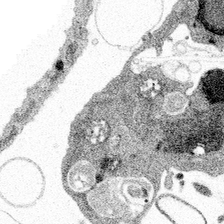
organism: Spongilla lacustris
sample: Multiple